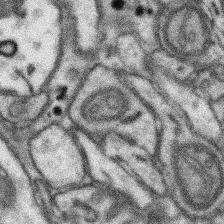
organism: Mouse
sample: Somatosensory cortex neuropil